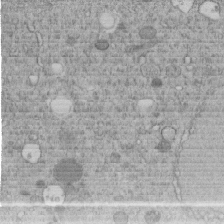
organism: C. elegans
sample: C. elegans embryo early stage